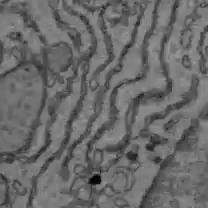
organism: C57BL Mouse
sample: Liver